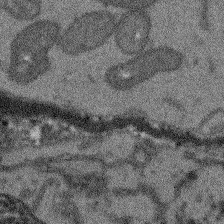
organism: Arabidopsis thaliana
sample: Root tip